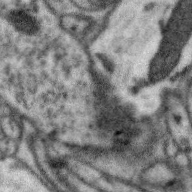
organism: Zebra finch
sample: Brain